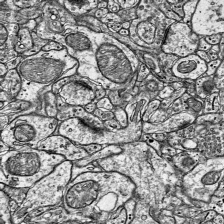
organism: Mouse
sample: Visual Cortex